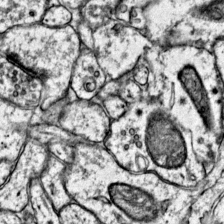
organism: Mouse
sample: Primary visual cortex